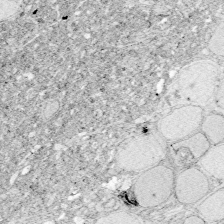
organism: Zebrafish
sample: Whole-Brain